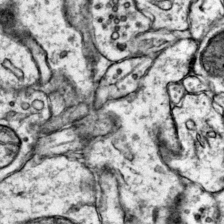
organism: Mouse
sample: Primary visual cortex